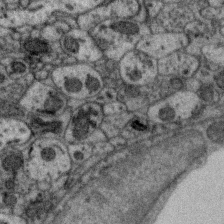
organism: Zebra finch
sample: Brain